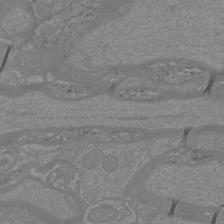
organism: Mouse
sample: Cortical neurons